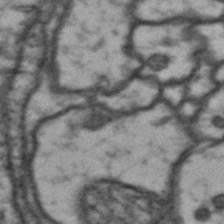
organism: Drosophila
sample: Brain